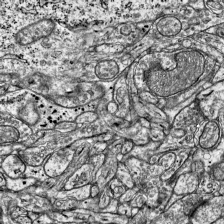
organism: Mouse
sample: Visual Cortex